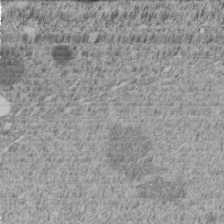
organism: C. elegans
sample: C. elegans embryo early stage